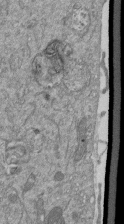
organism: Mouse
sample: ED-1 cell nuclei; centrioles